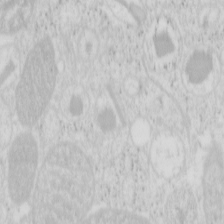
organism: Mouse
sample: Pancreas